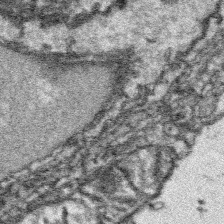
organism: Platynereis dumerilii